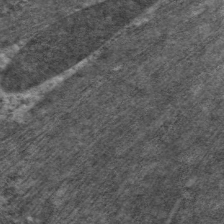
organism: C. elegans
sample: Pharynx